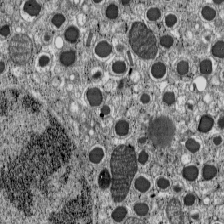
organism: C57BL Mouse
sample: Pancreatic islet